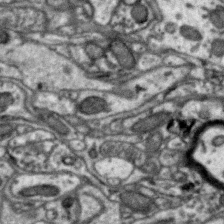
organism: Zebra finch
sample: Brain